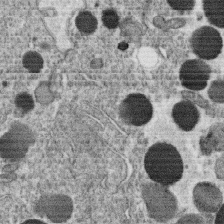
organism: C. elegans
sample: C. elegans oocyte; sperm cells